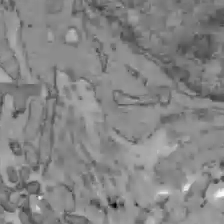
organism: C57BL Mouse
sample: Liver